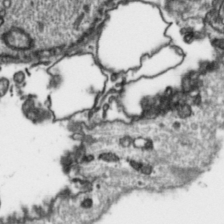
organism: Toxoplasma gondii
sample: Parasites in a vacuole inside a host cell